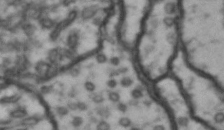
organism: Drosophila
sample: Brain